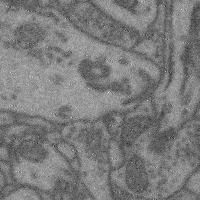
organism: Mouse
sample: Cerebral cortex